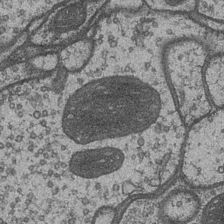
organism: Drosophila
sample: Optic medulla